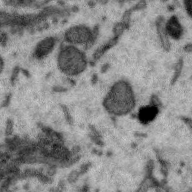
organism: Zebra finch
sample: Brain